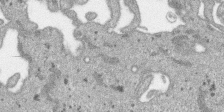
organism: Human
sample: Lung epithelial cells infected with SARS-CoV-2